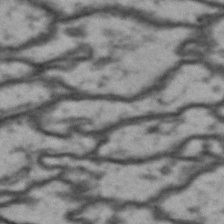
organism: Drosophila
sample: Brain